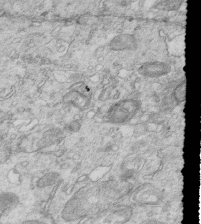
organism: Mouse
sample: Multiciliated cells